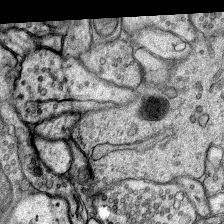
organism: Rat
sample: Hippocampus